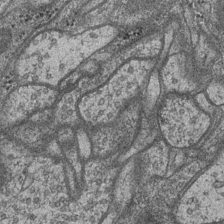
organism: Drosophila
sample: Optic medulla